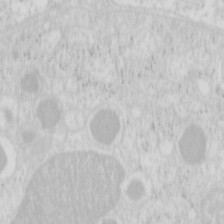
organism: Mouse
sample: Pancreas